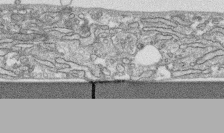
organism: Human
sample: CRL-1474